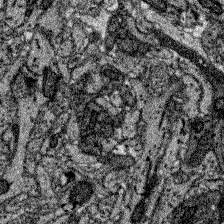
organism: Zebrafish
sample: Larval olfactory bulb